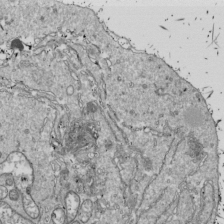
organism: Drosophila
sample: Cell division; meiosis; drosophila spermatocytes